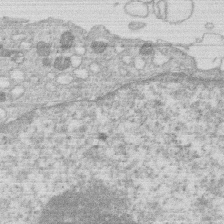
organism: Human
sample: Macrophage cells